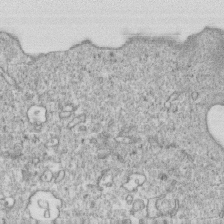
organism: Mouse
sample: Activated OT-1 CD8+ T cells